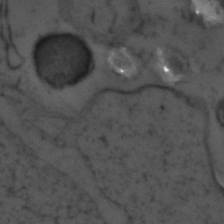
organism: Zebrafish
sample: Zebrafish embryo